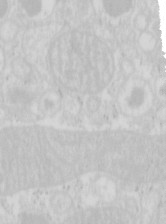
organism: Mouse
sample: Pancreas